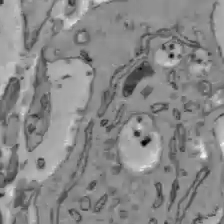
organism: C57BL Mouse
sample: Liver